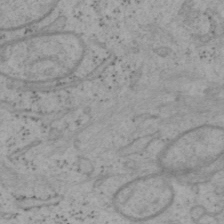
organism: Human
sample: HeLa cells